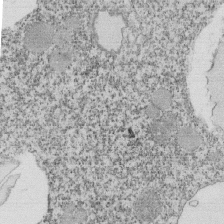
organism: Tetrahymena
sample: Cilia in tetrahymena